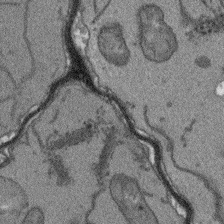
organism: Arabidopsis thaliana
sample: Root tip